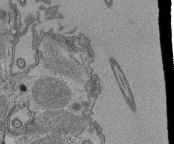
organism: Tetrahymena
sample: Cilia in tetrahymena